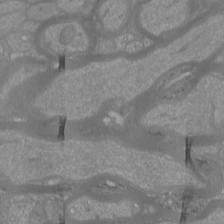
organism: Mouse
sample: Cortical neurons